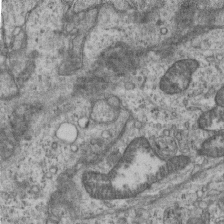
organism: Mouse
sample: Centriole in ependymal cells